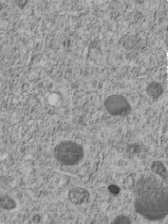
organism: C. elegans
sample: C. elegans embryo early stage